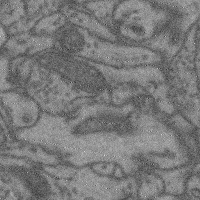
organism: Mouse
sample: Cerebral cortex